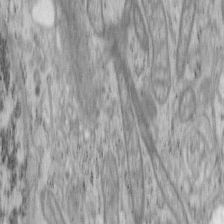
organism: Human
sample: HeLa cells